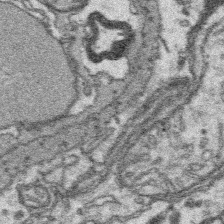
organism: Platynereis dumerilii